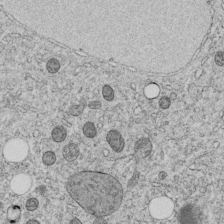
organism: C. elegans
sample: C. elegans embryo early stage